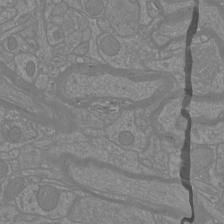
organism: Mouse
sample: Cortical neurons